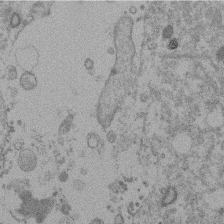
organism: Mouse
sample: Dividing mouse embryo 1 cell stage